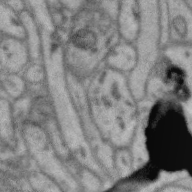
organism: Zebra finch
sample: Brain